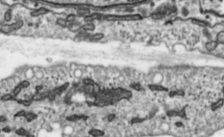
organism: Toxoplasma gondii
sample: Parasites in a vacuole inside a host cell